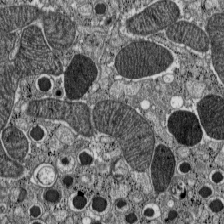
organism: C57BL Mouse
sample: Pancreatic islet